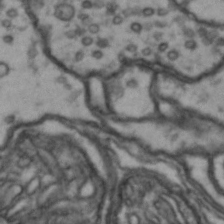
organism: Drosophila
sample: Brain